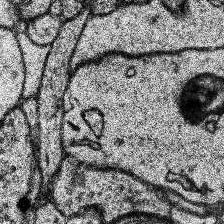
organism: Human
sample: Temporal Lobe